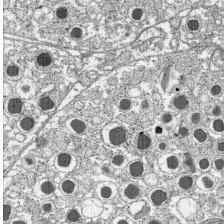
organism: C57BL Mouse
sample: Pancreatic islet